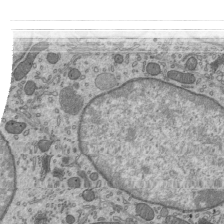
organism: Mouse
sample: Mouse epididymis efferent ductule cilia